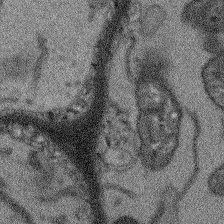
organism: Arabidopsis thaliana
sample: Root tip